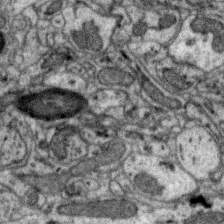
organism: Zebra finch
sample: Brain